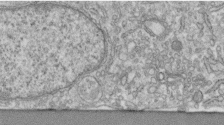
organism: Human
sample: Centriole in fibroblast cells